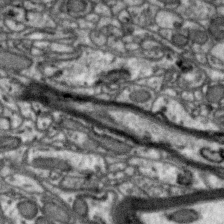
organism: Zebra finch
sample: Brain